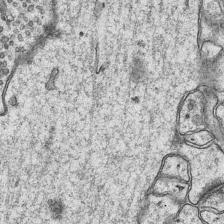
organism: Mouse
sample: CA1 Hippocampus